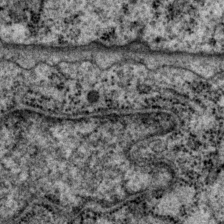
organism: P. pacificus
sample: Pharynx